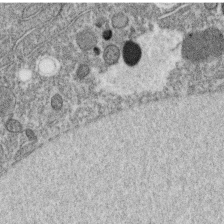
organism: C. elegans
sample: C. elegans oocyte; sperm cells